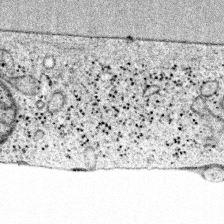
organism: Human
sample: HeLa cells